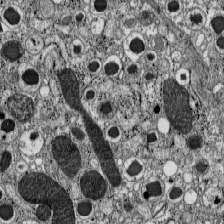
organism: C57BL Mouse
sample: Pancreatic islet